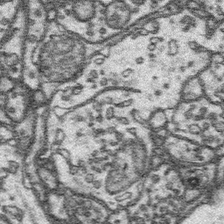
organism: Platynereis dumerilii